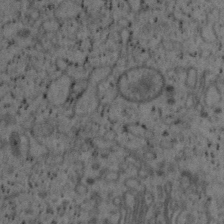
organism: Human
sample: HeLa cells